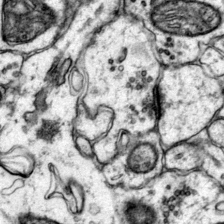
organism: Mouse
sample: Primary visual cortex